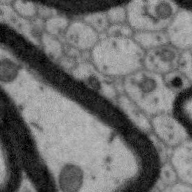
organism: Zebra finch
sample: Brain